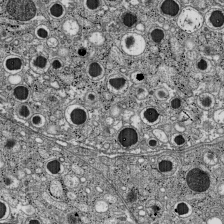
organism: C57BL Mouse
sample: Pancreatic islet